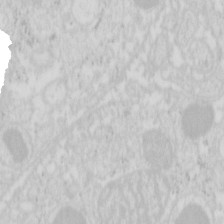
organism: Mouse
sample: Pancreas